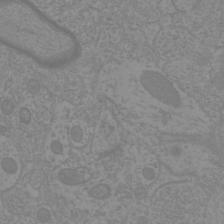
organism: Mouse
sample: Cortical neurons